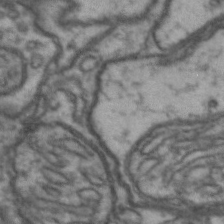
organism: Drosophila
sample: Brain